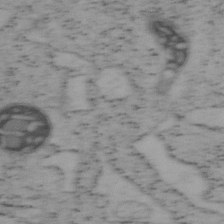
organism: Mouse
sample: OT-I killer T cells with ID8 ovarian cancer cells